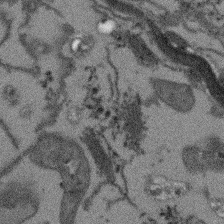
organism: Arabidopsis thaliana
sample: Root tip